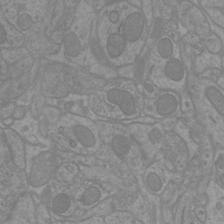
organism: Mouse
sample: Cortical neurons